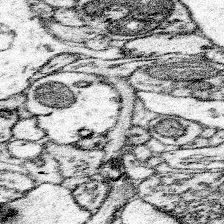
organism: Mouse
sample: Somatosensory cortex neuropil